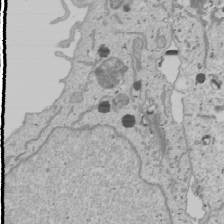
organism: Human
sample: Mitochondria in U2OS cells